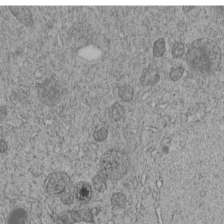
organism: C. elegans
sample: C. elegans embryo early stage